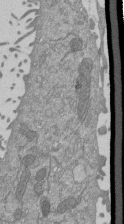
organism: Mouse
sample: ED-1 cell nuclei; centrioles